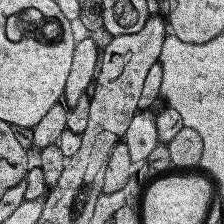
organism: Human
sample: Temporal Lobe